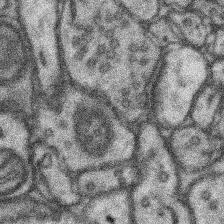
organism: Mouse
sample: Somatosensory cortex neuropil